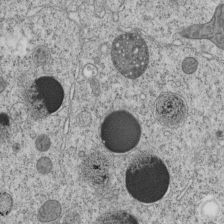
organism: C. elegans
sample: C. elegans embryo early stage